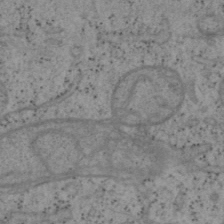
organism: Human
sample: HeLa cells